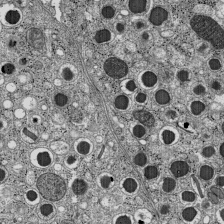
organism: C57BL Mouse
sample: Pancreatic islet